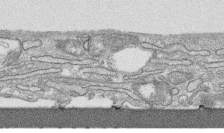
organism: Human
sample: CRL-1474